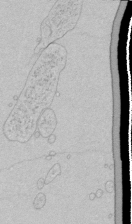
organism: Human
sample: Mitochondria in HCT116 cells